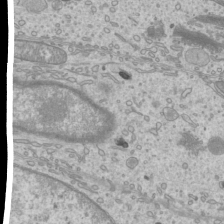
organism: Mouse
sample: Cilia; mouse epididymis